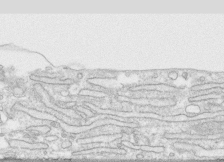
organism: Human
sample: CRL-1474